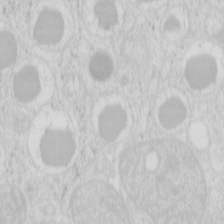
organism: Mouse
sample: Pancreas